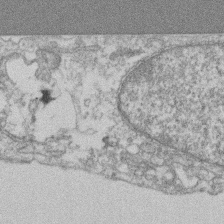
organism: Mouse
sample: T cell stromal cell synapse